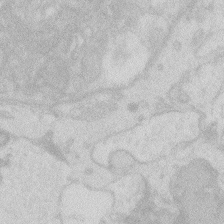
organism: Zebrafish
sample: Macrophage